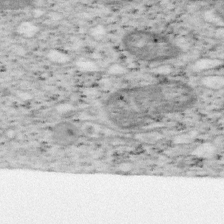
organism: Mouse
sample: OT-I killer T cells with ID8 ovarian cancer cells